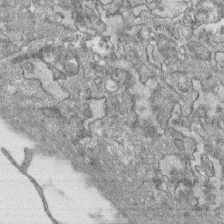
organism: Human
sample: CRL-1474